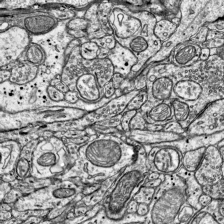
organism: Mouse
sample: Visual Cortex